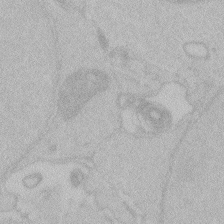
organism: Zebrafish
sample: Macrophage infected with Toxoplasma gondii